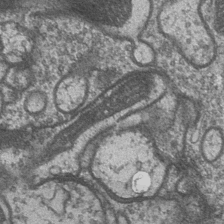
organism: Drosophila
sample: Optic medulla